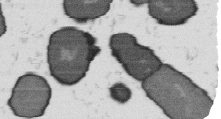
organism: B. subtilis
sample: Bacterial spore